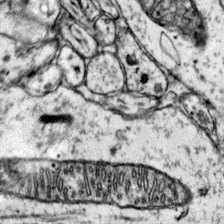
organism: Mouse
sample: Primary visual cortex